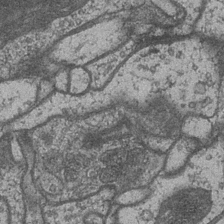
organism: Drosophila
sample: Optic medulla